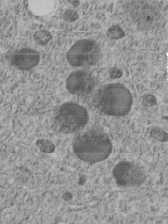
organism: C. elegans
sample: C. elegans embryo early stage